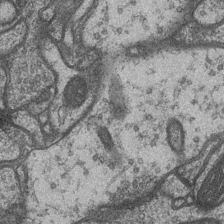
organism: Drosophila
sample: Optic medulla